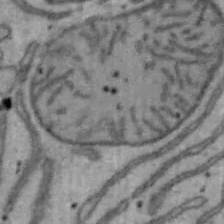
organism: Mouse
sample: Liver